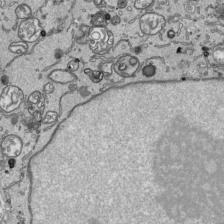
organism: Human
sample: Mitochondria in HCT116 cells